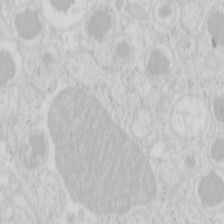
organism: Mouse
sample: Pancreas